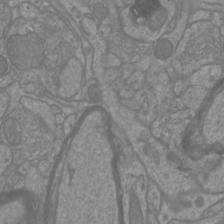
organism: Mouse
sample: Cortical neurons